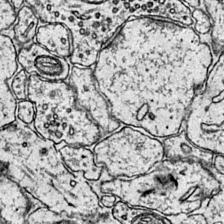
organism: Mouse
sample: Primary visual cortex